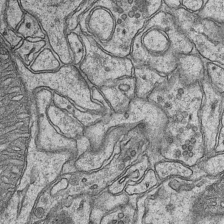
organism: Mouse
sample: CA1 Hippocampus